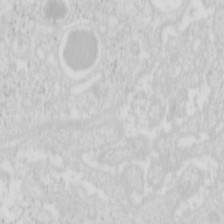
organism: Mouse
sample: Pancreas